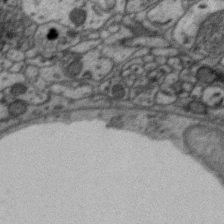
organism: Zebra finch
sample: Brain